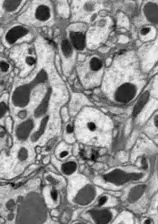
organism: Drosophila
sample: Optic lobe